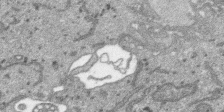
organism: Human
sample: Lung epithelial cells infected with SARS-CoV-2